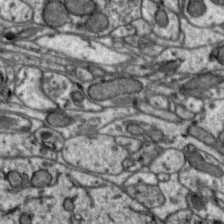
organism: Zebra finch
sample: Brain